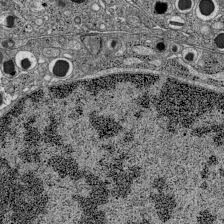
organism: C57BL Mouse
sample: Pancreatic islet